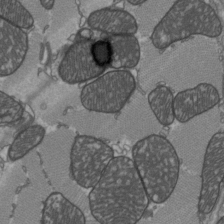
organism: C57BL Mouse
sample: Heart